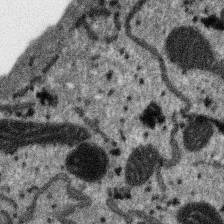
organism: Human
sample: Lung epithelial cells infected with SARS-CoV-2